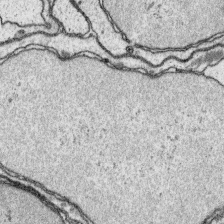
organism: Platynereis dumerilii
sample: Parapodia